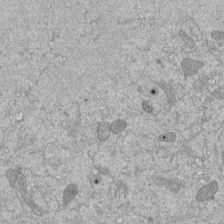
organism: Mouse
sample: ED-1 cell nuclei; centrioles